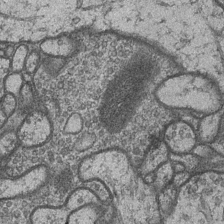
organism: Drosophila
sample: Optic medulla